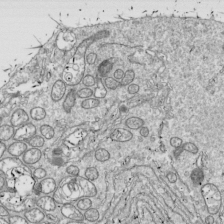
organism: Drosophila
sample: Cell division; meiosis; drosophila spermatocytes